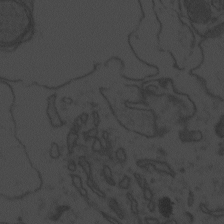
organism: Zebrafish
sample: Macrophage infected with Toxoplasma gondii